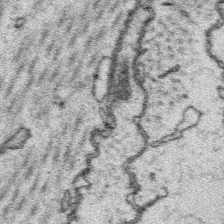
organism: Platynereis dumerilii